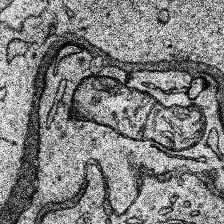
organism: Human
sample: Temporal Lobe